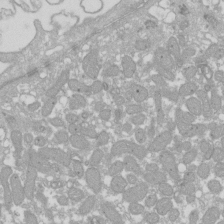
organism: Xenopus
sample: Cilia; centrioles in frog embryo cells